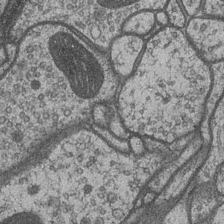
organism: Drosophila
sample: Optic medulla